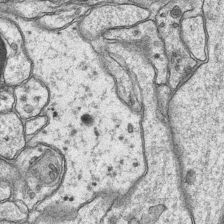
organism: Mouse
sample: CA1 Hippocampus